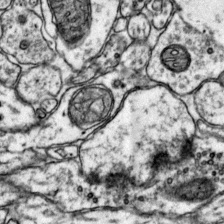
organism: Mouse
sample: Primary visual cortex